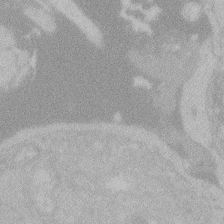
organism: Zebrafish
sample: Macrophage infected with Toxoplasma gondii